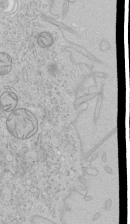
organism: Human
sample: Mitochondria in HCT116 cells